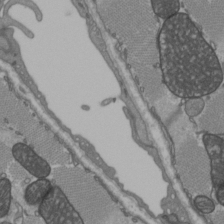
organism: C57BL Mouse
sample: Heart